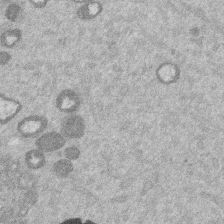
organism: Mouse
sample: Dividing mouse embryo 1 cell stage